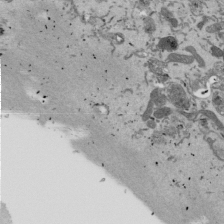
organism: Mouse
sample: ED-1 cell nuclei; centrioles